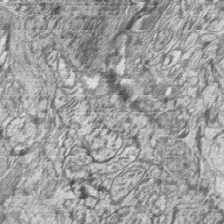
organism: Zebrafish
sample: synaptic ribbons in rod cells and cone cells